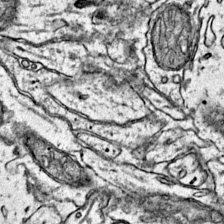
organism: Mouse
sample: Primary visual cortex